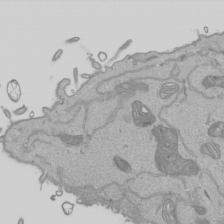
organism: Human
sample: Mitochondria in HCT116 cells